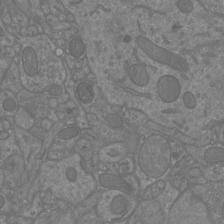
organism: Mouse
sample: Cortical neurons